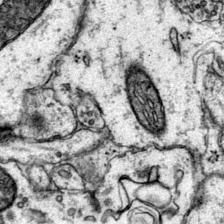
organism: Mouse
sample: Primary visual cortex